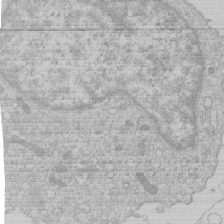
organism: Human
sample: Macrophage cells